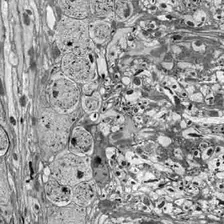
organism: Drosophila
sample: Optic lobe